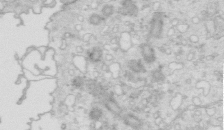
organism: Mouse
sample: Multiciliated cells